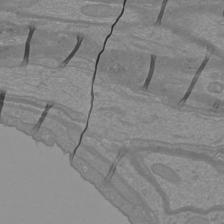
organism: Mouse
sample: Cortical neurons